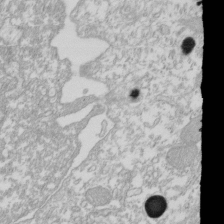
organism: Xenopus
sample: Cilia; centrioles in frog embryo cells